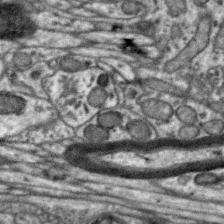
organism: Zebra finch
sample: Brain